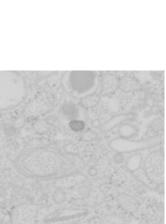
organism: Mouse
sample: Pancreas